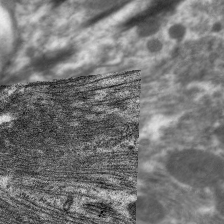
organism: C. elegans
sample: Pharynx